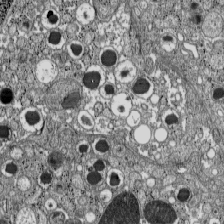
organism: C57BL Mouse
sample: Pancreatic islet